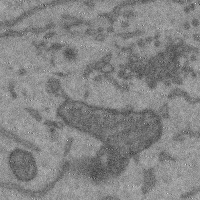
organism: Mouse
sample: Cerebral cortex